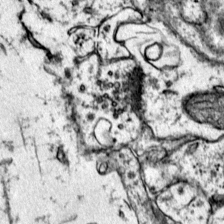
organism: Mouse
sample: Primary visual cortex